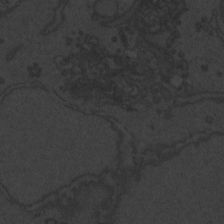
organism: Zebrafish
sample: Macrophage infected with Toxoplasma gondii